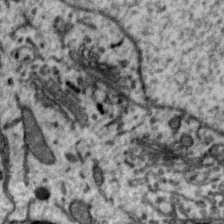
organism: Zebra finch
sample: Brain